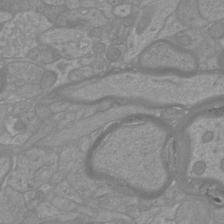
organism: Mouse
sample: Cortical neurons